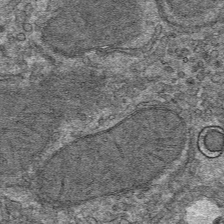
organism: Mouse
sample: Mouse hepatocytes